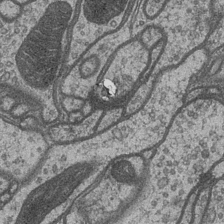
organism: Drosophila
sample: Optic medulla